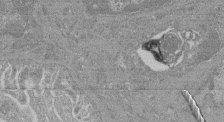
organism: Mouse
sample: Glomerulus